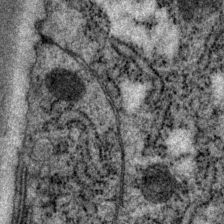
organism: P. pacificus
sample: Pharynx